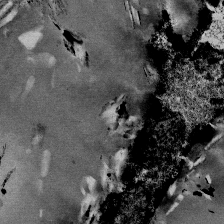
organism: Mouse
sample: Mouse Salivary gland